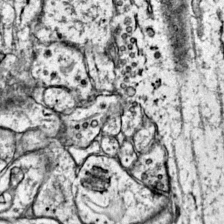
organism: Mouse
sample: Primary visual cortex